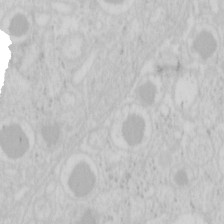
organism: Mouse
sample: Pancreas